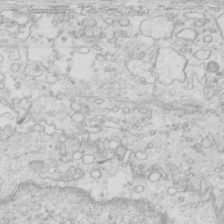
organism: Mouse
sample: Multiciliated cells